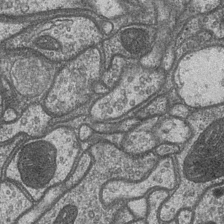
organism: Drosophila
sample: Optic medulla